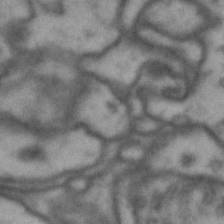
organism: Drosophila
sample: Brain